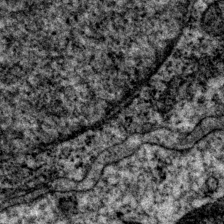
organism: P. pacificus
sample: Pharynx